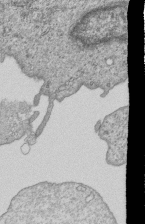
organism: Human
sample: MDA-MB-231 cells